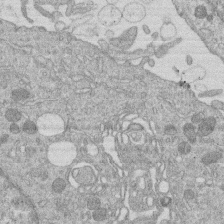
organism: Human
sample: Macrophage cells